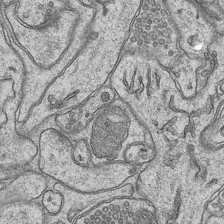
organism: Mouse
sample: CA1 Hippocampus